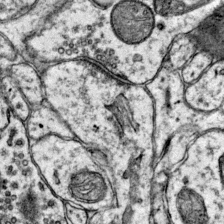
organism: Mouse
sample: Primary visual cortex